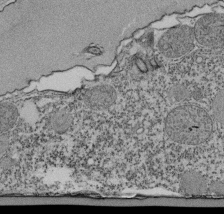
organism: Tetrahymena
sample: Cilia in tetrahymena